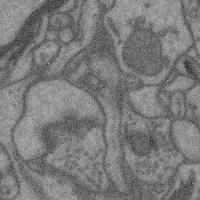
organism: Mouse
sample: Cerebral cortex